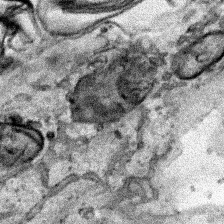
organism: Human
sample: Mitochondria in HCT116 cells